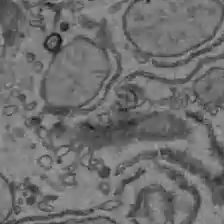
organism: C57BL Mouse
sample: Liver